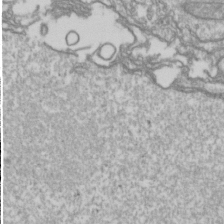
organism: Drosophila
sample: Cell division; meiosis; drosophila spermatocytes